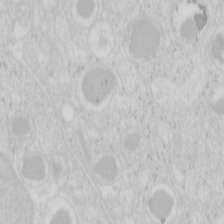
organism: Mouse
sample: Pancreas